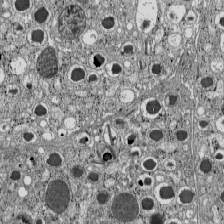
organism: C57BL Mouse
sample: Pancreatic islet